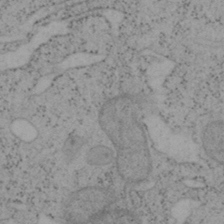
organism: Mouse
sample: OT-I killer T cells with ID8 ovarian cancer cells